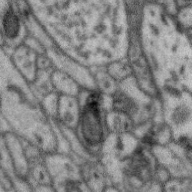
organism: Zebra finch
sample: Brain